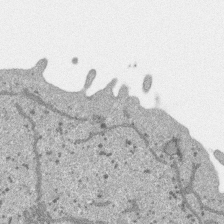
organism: Human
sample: Lung epithelial cells infected with SARS-CoV-2